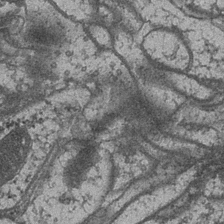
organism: Drosophila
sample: Optic medulla